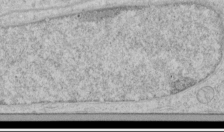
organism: Human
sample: Mitochondria in HCT116 cells